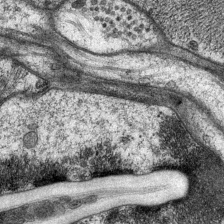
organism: P. pacificus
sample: Pharynx